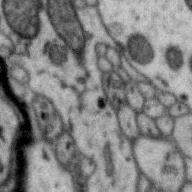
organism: Zebra finch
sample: Brain